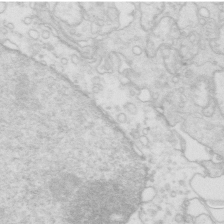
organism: Mouse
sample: Multiciliated cells